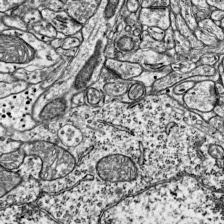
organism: Mouse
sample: Visual Cortex